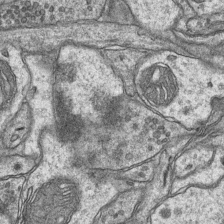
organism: Mouse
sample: CA1 Hippocampus